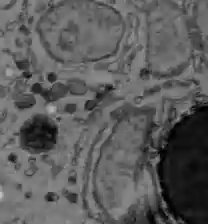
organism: C57BL Mouse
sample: Liver